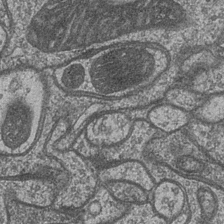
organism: Drosophila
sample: Optic medulla